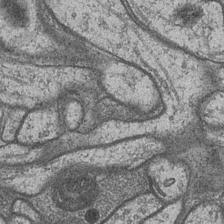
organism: Drosophila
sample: Optic medulla